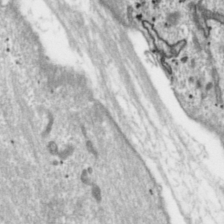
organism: Toxoplasma gondii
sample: Parasites in a vacuole inside a host cell